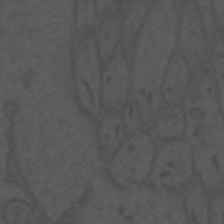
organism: Mouse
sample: Suprachiasmatic nucleus